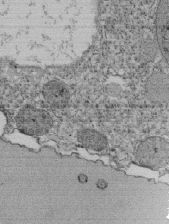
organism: Tetrahymena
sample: Cilia in tetrahymena